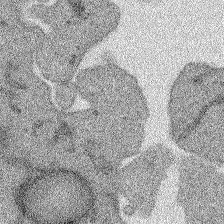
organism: Human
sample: HeLa cells